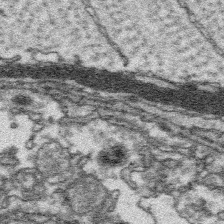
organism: Platynereis dumerilii